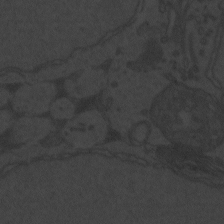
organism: Zebrafish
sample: Macrophage infected with Toxoplasma gondii